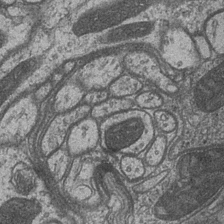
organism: Drosophila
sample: Optic medulla